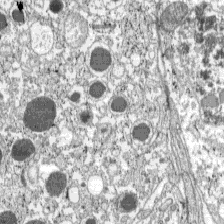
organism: C57BL Mouse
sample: Pancreatic islet